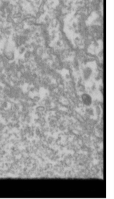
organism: Drosophila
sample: Cell division; meiosis; drosophila spermatocytes